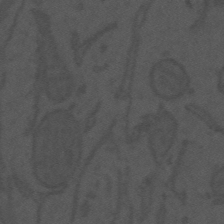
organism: Mouse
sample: Suprachiasmatic nucleus